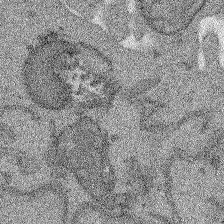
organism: Human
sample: HeLa cells